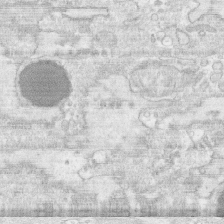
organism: Human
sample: CRL-1474